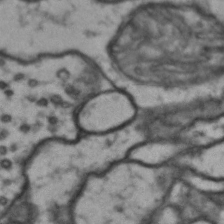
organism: Drosophila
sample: Brain